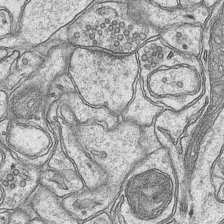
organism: Mouse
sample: CA1 Hippocampus